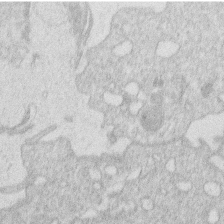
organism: Human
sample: Macrophage cells